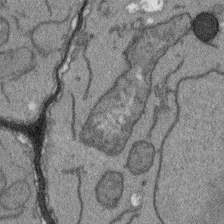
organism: Arabidopsis thaliana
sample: Root tip